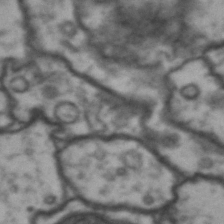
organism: Drosophila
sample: Brain